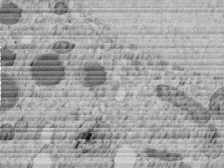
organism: C. elegans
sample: C. elegans embryo early stage